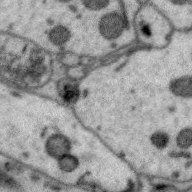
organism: Zebra finch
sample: Brain